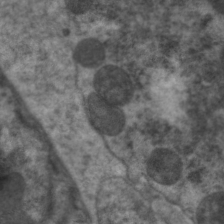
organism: C. elegans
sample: Pharynx